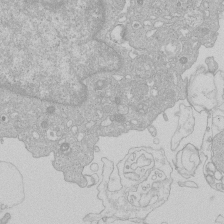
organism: Human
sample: Macrophage cells